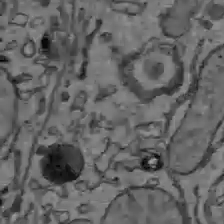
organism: C57BL Mouse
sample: Liver